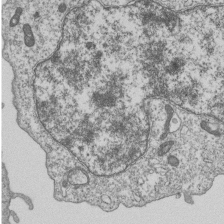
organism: Human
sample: MDA-MB-231 cells